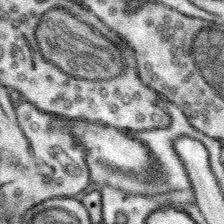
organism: Mouse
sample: Somatosensory cortex neuropil